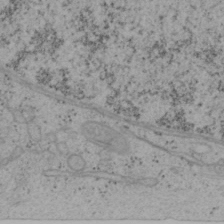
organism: Human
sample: HeLa cells